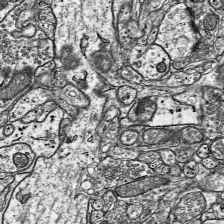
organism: Mouse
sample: Visual Cortex